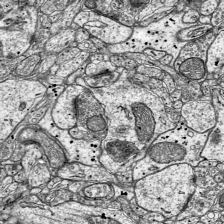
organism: Mouse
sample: Visual Cortex